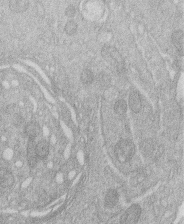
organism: Human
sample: Macrophage cells